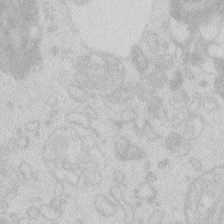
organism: Zebrafish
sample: Macrophage